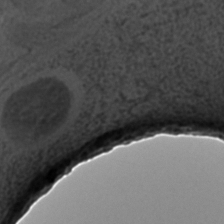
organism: C. elegans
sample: C. elegans embryo